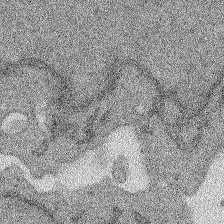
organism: Human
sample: HeLa cells